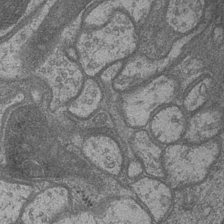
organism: Drosophila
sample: Optic medulla